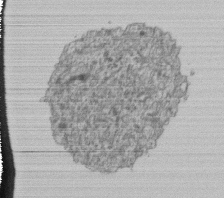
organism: Human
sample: Retinal organoid Rod and Cone cells